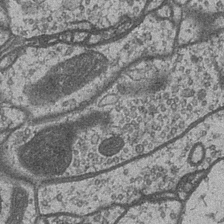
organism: Drosophila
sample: Optic medulla